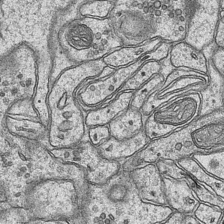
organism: Mouse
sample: CA1 Hippocampus